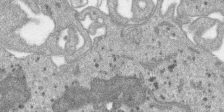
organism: Human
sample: Lung epithelial cells infected with SARS-CoV-2